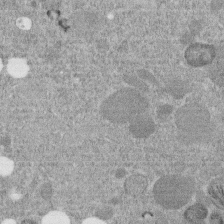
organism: C. elegans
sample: C. elegans embryo early stage